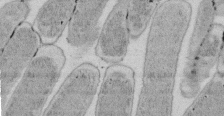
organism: E. coli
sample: Bacterial nucleoid